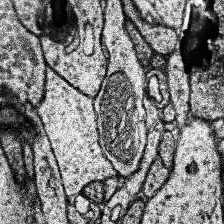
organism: Human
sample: Temporal Lobe